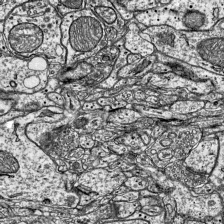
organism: Mouse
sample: Visual Cortex